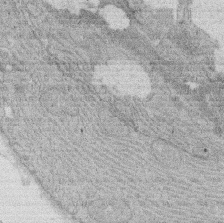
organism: Rat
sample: Salivary granule